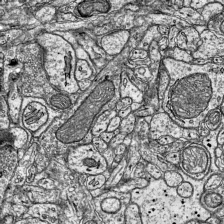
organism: Mouse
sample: Visual Cortex